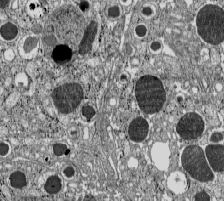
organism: C57BL Mouse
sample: Pancreatic islet